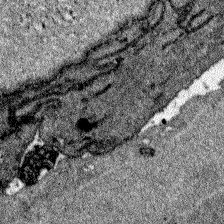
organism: Zebrafish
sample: Larval olfactory bulb